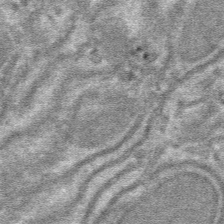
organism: Mouse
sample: Mouse hepatocytes